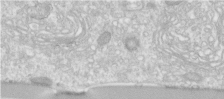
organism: Human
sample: Centriole in RPE cells